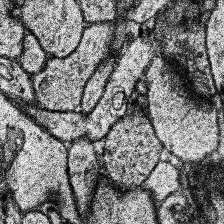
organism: Human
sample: Temporal Lobe